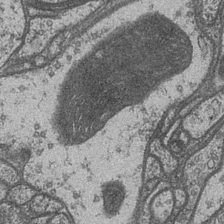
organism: Drosophila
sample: Optic medulla